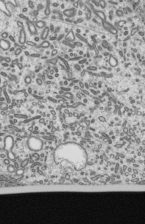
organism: Mouse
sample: Mouse epididymis efferent ductule cilia